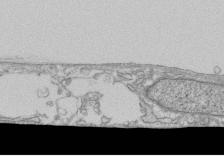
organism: Human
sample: Fibroblast cells